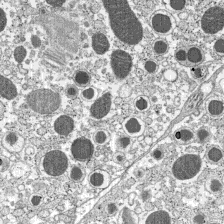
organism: C57BL Mouse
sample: Pancreatic islet